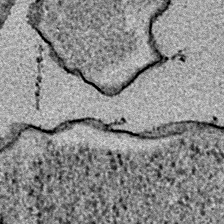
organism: E. coli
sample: E. Coli Bacteria